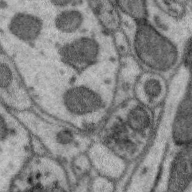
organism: Zebra finch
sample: Brain